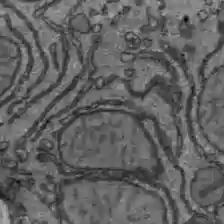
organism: C57BL Mouse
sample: Liver